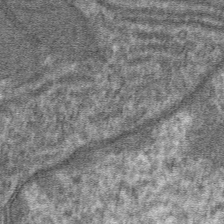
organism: Mouse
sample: Mouse hepatocytes